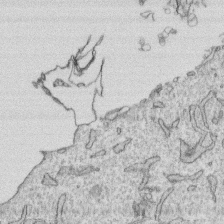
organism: Human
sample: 1205lu cells